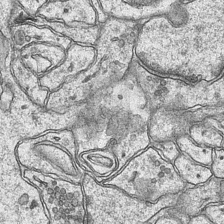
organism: Mouse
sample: CA1 Hippocampus